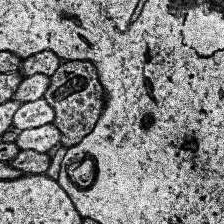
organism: Human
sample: Temporal Lobe